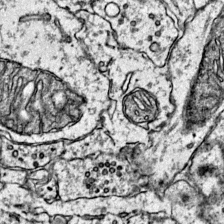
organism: Mouse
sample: Primary visual cortex